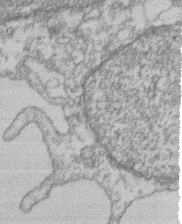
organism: Mouse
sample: T cell stromal cell synapse